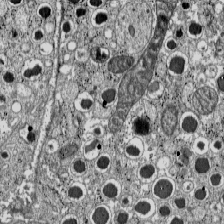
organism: C57BL Mouse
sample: Pancreatic islet